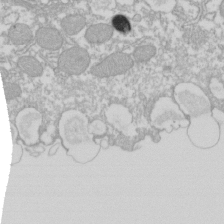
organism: Xenopus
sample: Cilia; centrioles in frog embryo cells